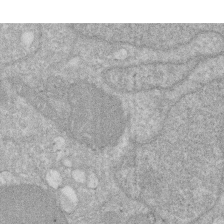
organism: Human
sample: HIV infected U937 cells